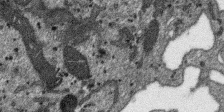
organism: Human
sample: Lung epithelial cells infected with SARS-CoV-2